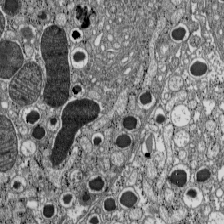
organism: C57BL Mouse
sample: Pancreatic islet